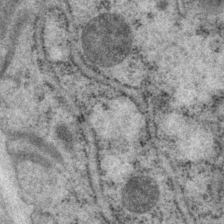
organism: P. pacificus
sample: Pharynx